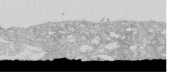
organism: Human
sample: Caco-2 cells